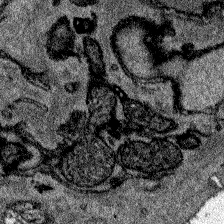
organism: Zebrafish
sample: Larval olfactory bulb